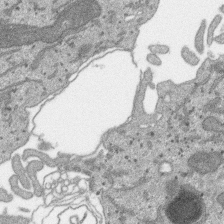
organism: Human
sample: Lung epithelial cells infected with SARS-CoV-2